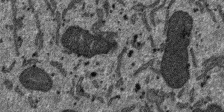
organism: Human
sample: Lung epithelial cells infected with SARS-CoV-2